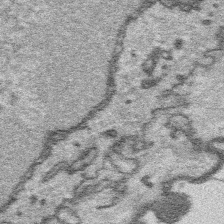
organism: Platynereis dumerilii